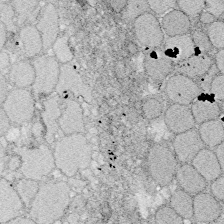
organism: Zebrafish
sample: Whole-Brain